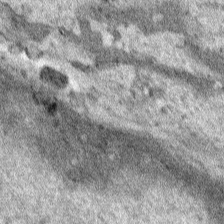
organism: Human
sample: Mitochondria in HCT116 cells